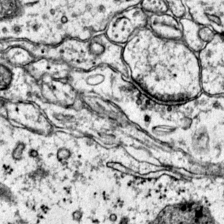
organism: Mouse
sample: Primary visual cortex